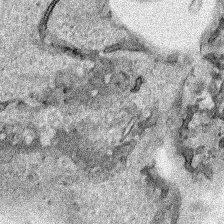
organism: Human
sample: Mitochondria in HCT116 cells